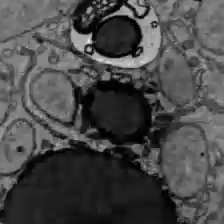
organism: C57BL Mouse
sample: Liver